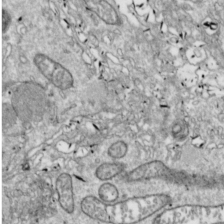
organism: Drosophila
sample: Cell division; meiosis; drosophila spermatocytes